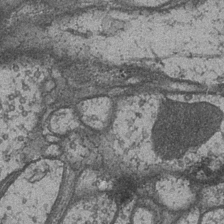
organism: Drosophila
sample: Optic medulla